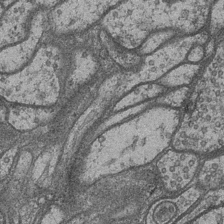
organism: Drosophila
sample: Optic medulla